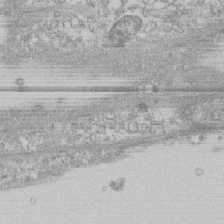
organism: Human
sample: CRL-1474